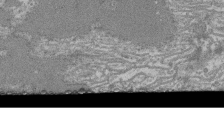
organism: Mouse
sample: Glomerulus